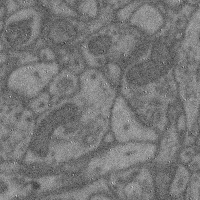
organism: Mouse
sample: Cerebral cortex